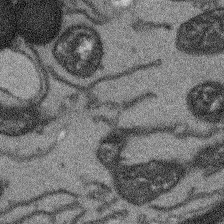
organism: Arabidopsis thaliana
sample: Root tip